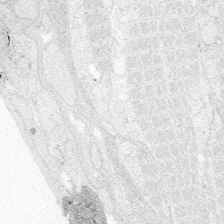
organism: Zebrafish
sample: Whole-Brain